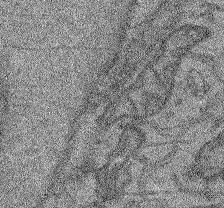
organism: Human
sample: HeLa cells